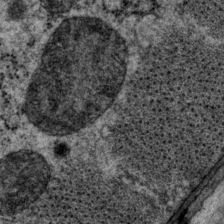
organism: P. pacificus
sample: Pharynx